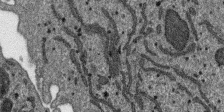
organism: Human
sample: Lung epithelial cells infected with SARS-CoV-2